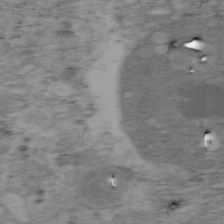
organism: Mouse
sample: OT-I killer T cells with ID8 ovarian cancer cells